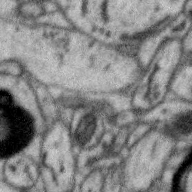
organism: Zebra finch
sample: Brain